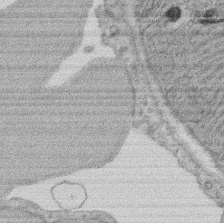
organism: Rat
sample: Salivary granule